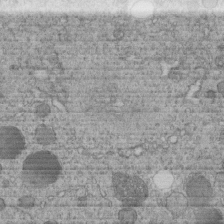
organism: C. elegans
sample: C. elegans embryo early stage